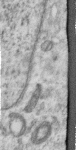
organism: Human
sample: Centriole in RPE cells